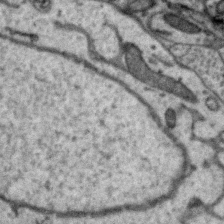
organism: Zebra finch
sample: Brain